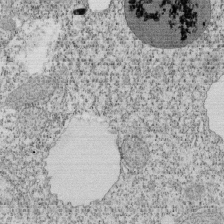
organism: Tetrahymena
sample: Cilia in tetrahymena